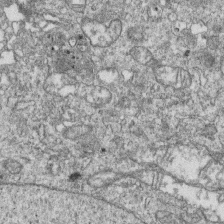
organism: Human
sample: HeLa cell HIV synapse